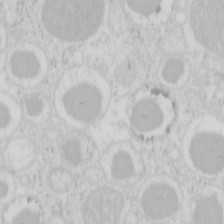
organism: Mouse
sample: Pancreas